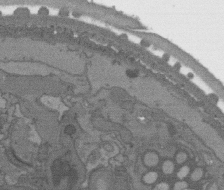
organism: C. elegans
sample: AFD neurons C. elegans